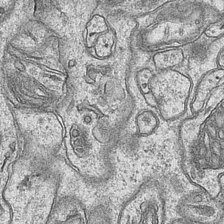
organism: Mouse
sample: CA1 Hippocampus